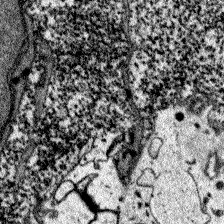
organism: Zebrafish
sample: Larval olfactory bulb